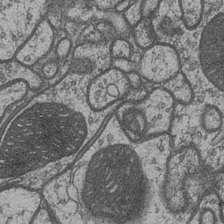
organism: Drosophila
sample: Optic medulla